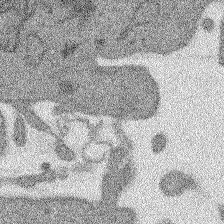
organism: Human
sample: HeLa cells